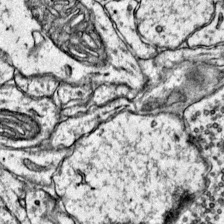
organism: Mouse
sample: Primary visual cortex